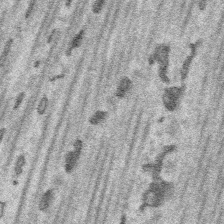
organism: Platynereis dumerilii